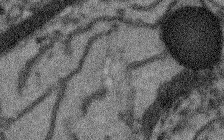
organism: Arabidopsis thaliana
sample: Root tip